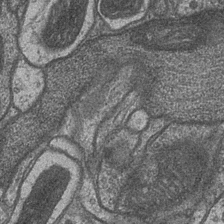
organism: Drosophila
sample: Optic medulla